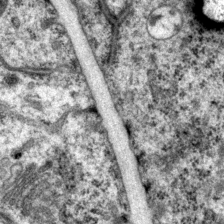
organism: P. pacificus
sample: Pharynx